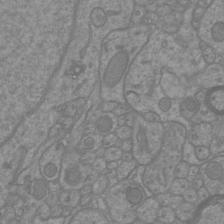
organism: Mouse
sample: Cortical neurons